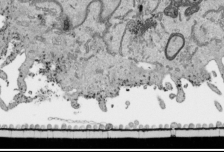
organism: Human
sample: Mitochondria in HCT116 cells